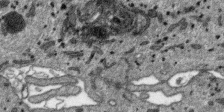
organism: Human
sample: Lung epithelial cells, uninfected (mock) control